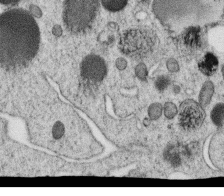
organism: C. elegans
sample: C. elegans oocyte; sperm cells